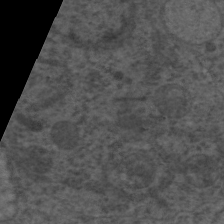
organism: C. elegans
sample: Pharynx